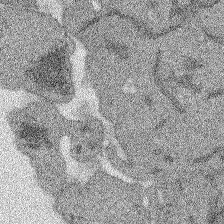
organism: Human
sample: HeLa cells